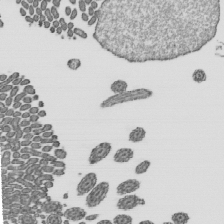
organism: Mouse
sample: Mouse epididymis efferent ductule cilia